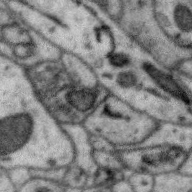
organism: Zebra finch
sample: Brain